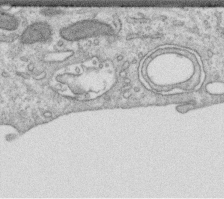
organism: Human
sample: Centriole in RPE cells